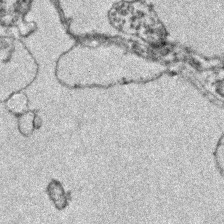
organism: Zebrafish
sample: Zebrafish embryo